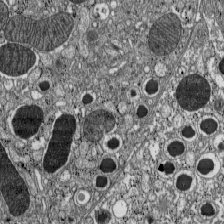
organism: C57BL Mouse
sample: Pancreatic islet